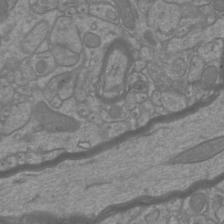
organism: Mouse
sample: Cortical neurons